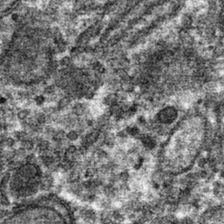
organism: Mouse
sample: Mouse hepatocytes